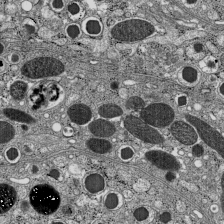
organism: C57BL Mouse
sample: Pancreatic islet